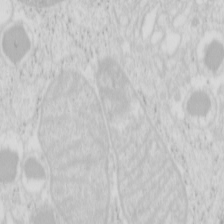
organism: Mouse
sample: Pancreas